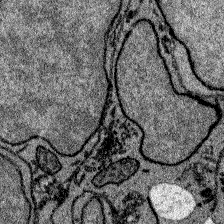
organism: Zebrafish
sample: Larval olfactory bulb